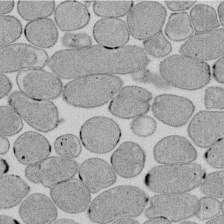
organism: E. coli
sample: Bacterial nucleoid